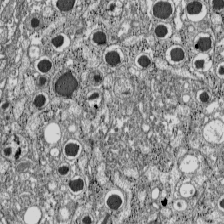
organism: C57BL Mouse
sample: Pancreatic islet